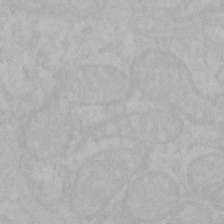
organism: Mouse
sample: Choroid plexus